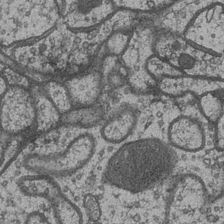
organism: Drosophila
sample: Optic medulla